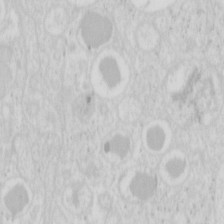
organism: Mouse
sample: Pancreas